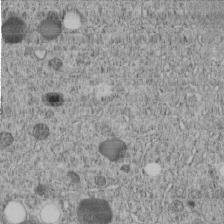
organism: C. elegans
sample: C. elegans embryo early stage